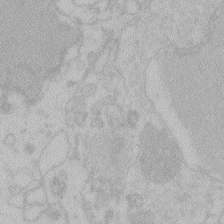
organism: Zebrafish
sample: Macrophage infected with Toxoplasma gondii